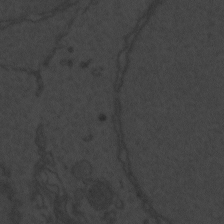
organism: Zebrafish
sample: Macrophage infected with Toxoplasma gondii